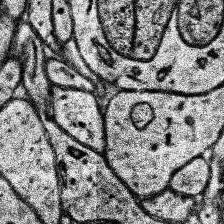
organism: Human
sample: Temporal Lobe